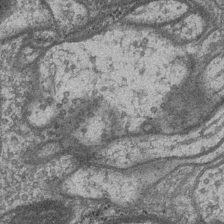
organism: Drosophila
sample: Optic medulla